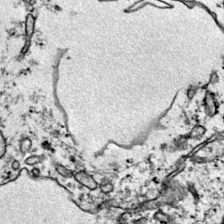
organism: Mouse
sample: Primary visual cortex